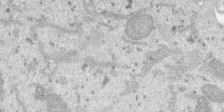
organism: Human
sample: Lung epithelial cells infected with SARS-CoV-2